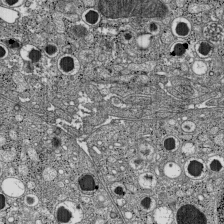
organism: C57BL Mouse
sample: Pancreatic islet